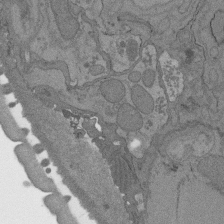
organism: C. elegans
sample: AFD neurons C. elegans